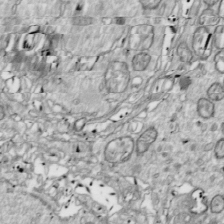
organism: Drosophila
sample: Cell division; meiosis; drosophila spermatocytes